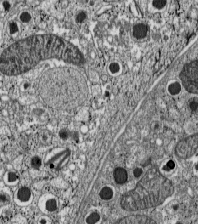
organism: C57BL Mouse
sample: Pancreatic islet